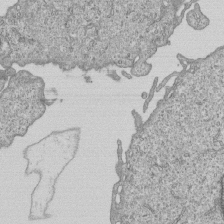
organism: Human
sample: MDA-MB-231 cells